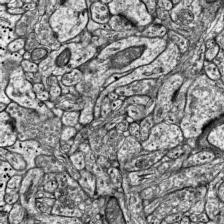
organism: Mouse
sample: Visual Cortex